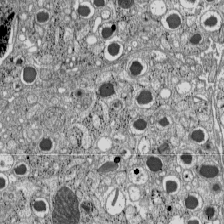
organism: C57BL Mouse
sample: Pancreatic islet